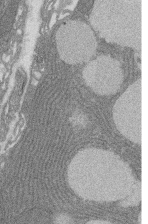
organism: Rat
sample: Salivary granule